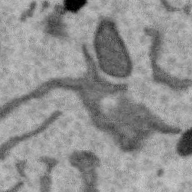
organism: Zebra finch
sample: Brain